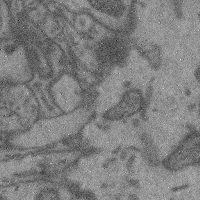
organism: Mouse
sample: Cerebral cortex